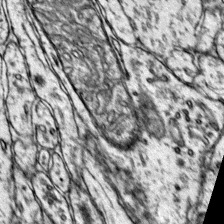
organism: Mouse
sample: Primary visual cortex